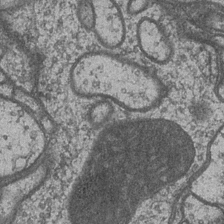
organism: Drosophila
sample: Optic medulla